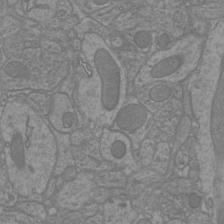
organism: Mouse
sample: Cortical neurons